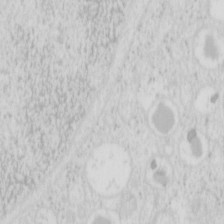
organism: Mouse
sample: Pancreas